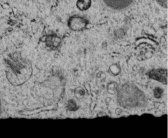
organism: C. elegans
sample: C. elegans embryo early stage